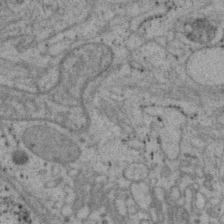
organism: Human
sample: HeLa cells